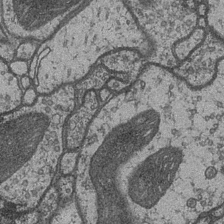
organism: Drosophila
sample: Optic medulla